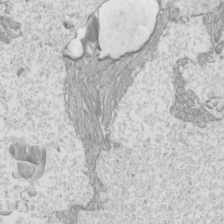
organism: Mouse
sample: Cilia; mouse epididymis